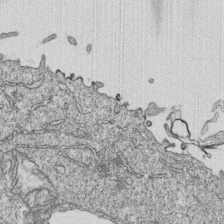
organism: Human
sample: HeLa cell HIV synapse